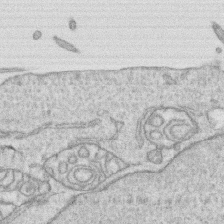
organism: Human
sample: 1205lu cells